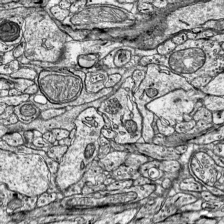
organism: Mouse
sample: Visual Cortex